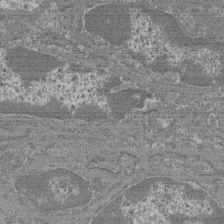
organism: Mouse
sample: Glomerulus